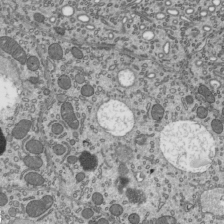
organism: Mouse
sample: Mouse epididymis efferent ductule cilia